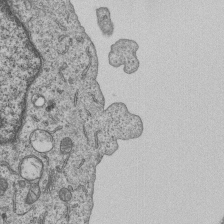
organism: Human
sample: MDA-MB-231 cells